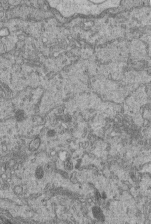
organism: Human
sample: Retinal organoid Rod and Cone cells